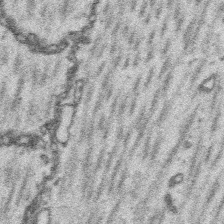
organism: Platynereis dumerilii